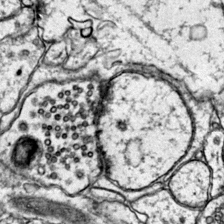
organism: Mouse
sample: Primary visual cortex